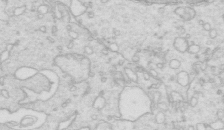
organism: Mouse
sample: Multiciliated cells